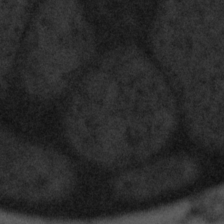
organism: Tuwongella immobilis